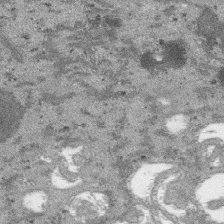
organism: Human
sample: Lung epithelial cells infected with SARS-CoV-2